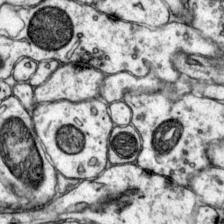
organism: Mouse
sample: Primary visual cortex